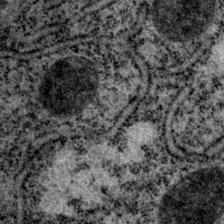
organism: P. pacificus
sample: Pharynx